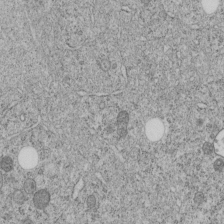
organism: C. elegans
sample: C. elegans embryo early stage